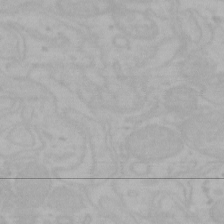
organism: Mouse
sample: Choroid plexus